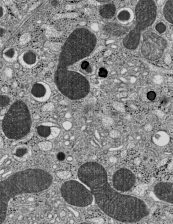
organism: C57BL Mouse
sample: Pancreatic islet